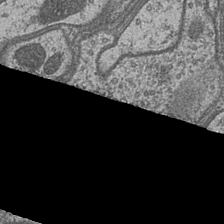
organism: Drosophila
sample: Optic medulla